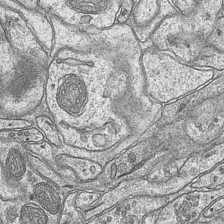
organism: Mouse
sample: CA1 Hippocampus